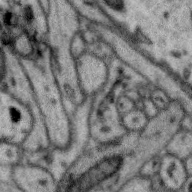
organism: Zebra finch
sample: Brain